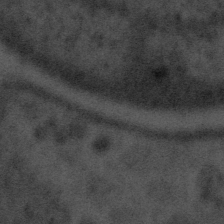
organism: Tuwongella immobilis